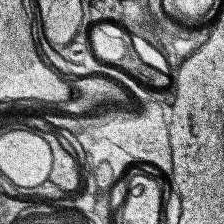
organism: Human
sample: Temporal Lobe